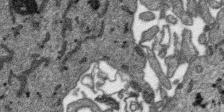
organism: Human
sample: Lung epithelial cells infected with SARS-CoV-2